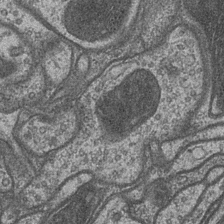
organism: Drosophila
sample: Optic medulla